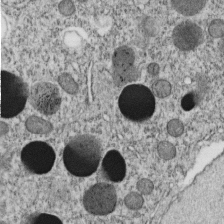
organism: C. elegans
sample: C. elegans embryo early stage